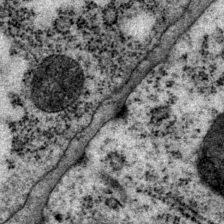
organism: P. pacificus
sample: Pharynx